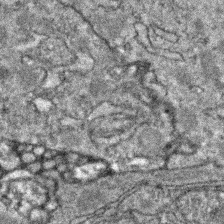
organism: Zebrafish